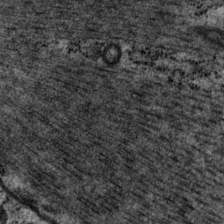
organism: P. pacificus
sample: Pharynx